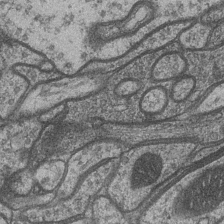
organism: Drosophila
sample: Optic medulla